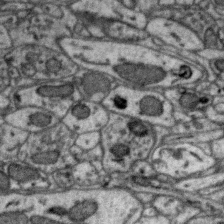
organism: Zebra finch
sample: Brain